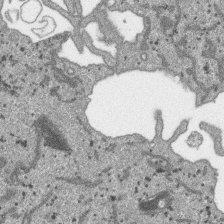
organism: Human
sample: Lung epithelial cells infected with SARS-CoV-2